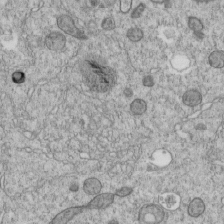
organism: C. elegans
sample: C. elegans embryo early stage